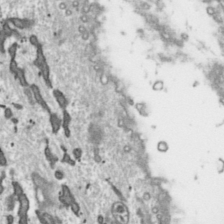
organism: Toxoplasma gondii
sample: Parasites in a vacuole inside a host cell